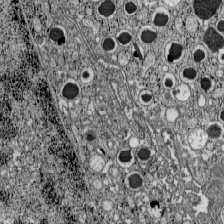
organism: C57BL Mouse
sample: Pancreatic islet